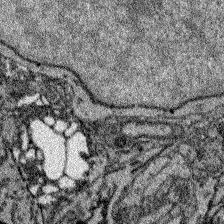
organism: Zebrafish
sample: Larval olfactory bulb